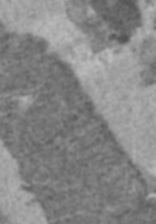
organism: C57BL Mouse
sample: Heart